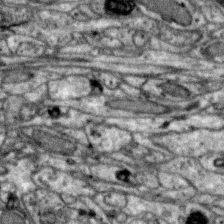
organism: Zebra finch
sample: Brain